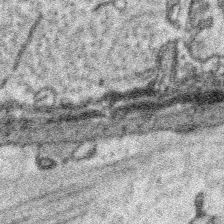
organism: Platynereis dumerilii